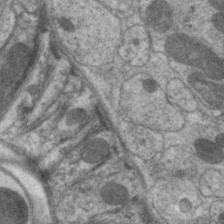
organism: C. elegans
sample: Pharynx